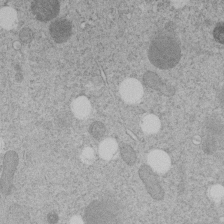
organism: C. elegans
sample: C. elegans embryo early stage